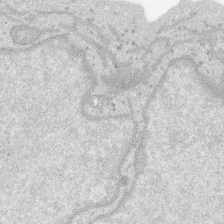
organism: Human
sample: Lung epithelial cells infected with SARS-CoV-2